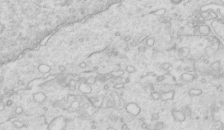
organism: Mouse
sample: Multiciliated cells